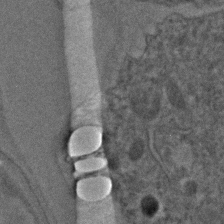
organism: C. elegans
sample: C. elegans embryo